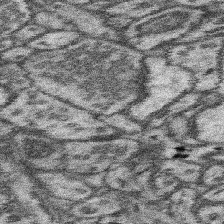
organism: Mouse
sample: Somatosensory cortex neuropil